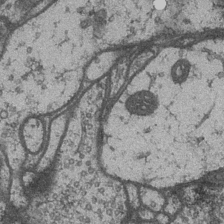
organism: Drosophila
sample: Optic medulla